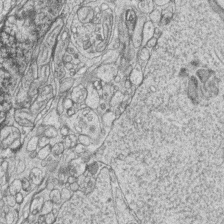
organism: Zebrafish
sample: synaptic ribbons in rod cells and cone cells